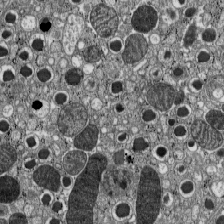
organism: C57BL Mouse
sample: Pancreatic islet